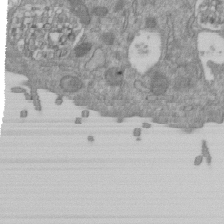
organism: Mouse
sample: ED-1 cell nuclei; centrioles